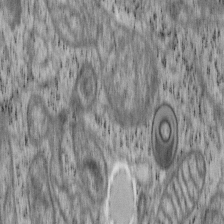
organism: Human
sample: HeLa cells